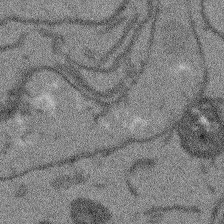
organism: Arabidopsis thaliana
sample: Root tip